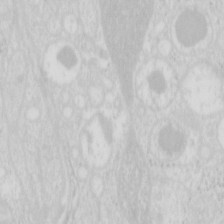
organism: Mouse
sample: Pancreas